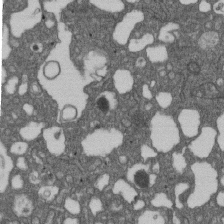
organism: Drosophila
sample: Nephrocyte